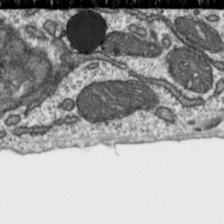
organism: Toxoplasma gondii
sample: Parasites in a vacuole inside a host cell